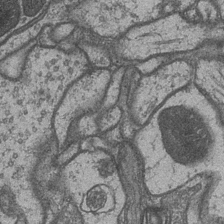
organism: Drosophila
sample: Optic medulla